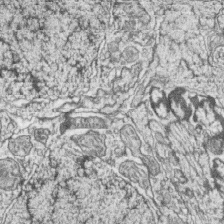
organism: Zebrafish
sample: synaptic ribbons in rod cells and cone cells